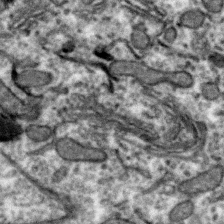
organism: Zebra finch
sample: Brain